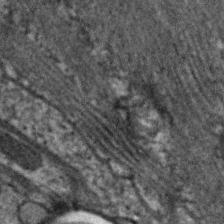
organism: C. elegans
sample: Pharynx